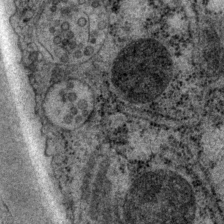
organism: P. pacificus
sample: Pharynx